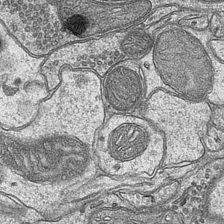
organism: Mouse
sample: CA1 Hippocampus